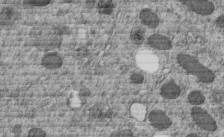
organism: C. elegans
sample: C. elegans embryo early stage